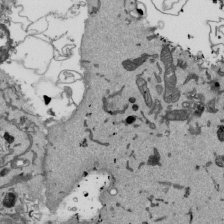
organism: Mouse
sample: ED-1 cell nuclei; centrioles